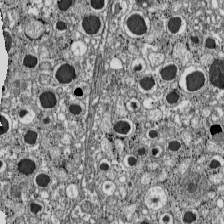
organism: C57BL Mouse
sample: Pancreatic islet